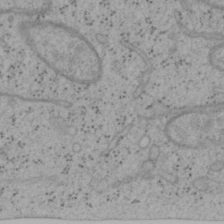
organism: Human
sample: HeLa cells